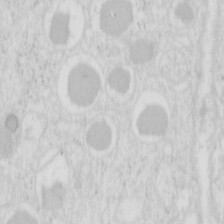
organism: Mouse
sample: Pancreas